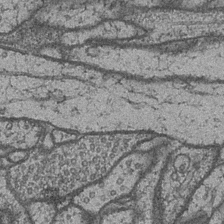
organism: Drosophila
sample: Optic medulla